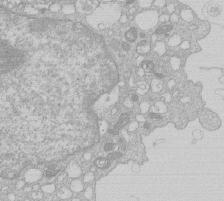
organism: Human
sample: Macrophage cells